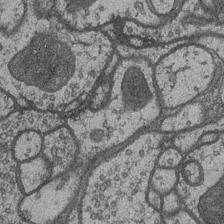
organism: Drosophila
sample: Optic medulla